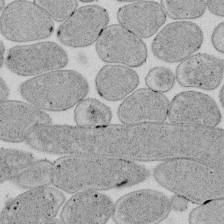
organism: E. coli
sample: Bacterial nucleoid